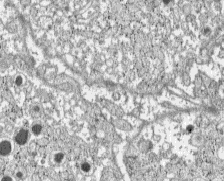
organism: C57BL Mouse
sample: Pancreatic islet